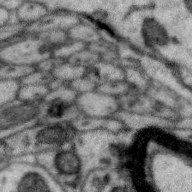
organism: Zebra finch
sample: Brain